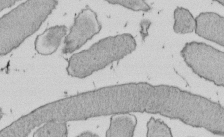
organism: E. coli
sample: Bacterial nucleoid